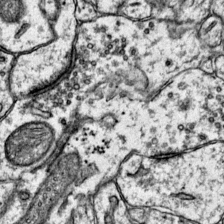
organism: Mouse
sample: Primary visual cortex